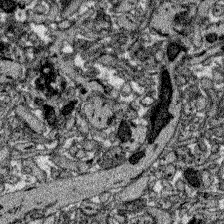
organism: Zebrafish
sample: Larval olfactory bulb